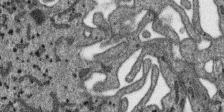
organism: Human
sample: Lung epithelial cells infected with SARS-CoV-2